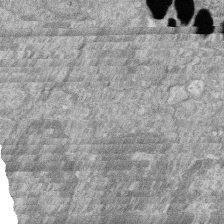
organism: Zebrafish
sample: Cilia; retinal pigment epithelium